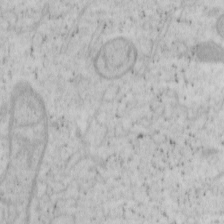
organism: Human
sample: HeLa cells